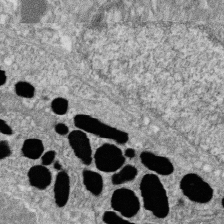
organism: Zebrafish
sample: Cilia; retinal pigment epithelium